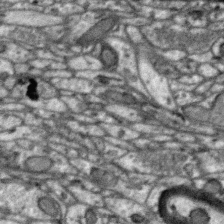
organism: Zebra finch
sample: Brain